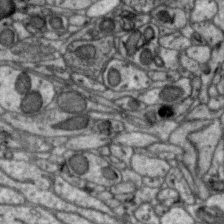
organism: Zebra finch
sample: Brain